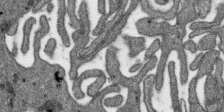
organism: Human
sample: Lung epithelial cells, uninfected (mock) control